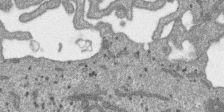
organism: Human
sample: Lung epithelial cells infected with SARS-CoV-2